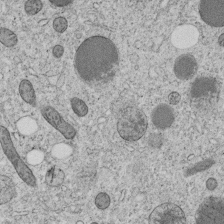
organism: C. elegans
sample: C. elegans embryo early stage